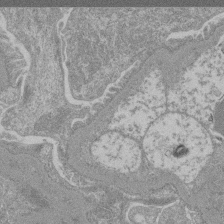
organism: Mouse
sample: Glomerulus